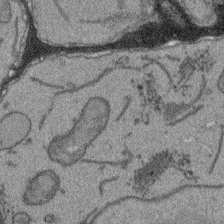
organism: Arabidopsis thaliana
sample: Root tip